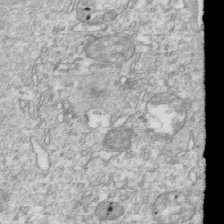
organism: Mouse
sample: Activated OT-1 CD8+ T cells